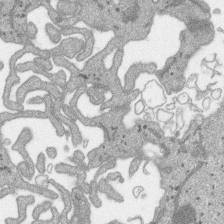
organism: Human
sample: Lung epithelial cells infected with SARS-CoV-2